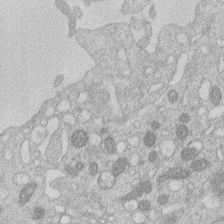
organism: Human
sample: Macrophage cells